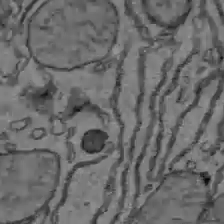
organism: C57BL Mouse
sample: Liver